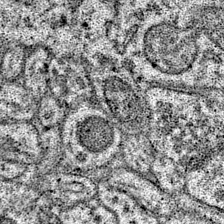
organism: Mouse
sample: Primary visual cortex